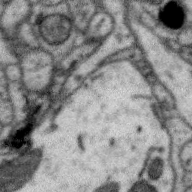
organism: Zebra finch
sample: Brain